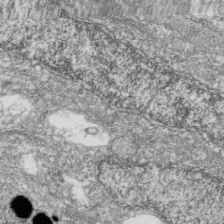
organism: Zebrafish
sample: Cilia; retinal pigment epithelium